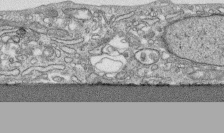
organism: Human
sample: CRL-1474